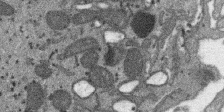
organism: Human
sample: Lung epithelial cells infected with SARS-CoV-2